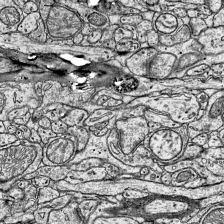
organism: Mouse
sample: Visual Cortex